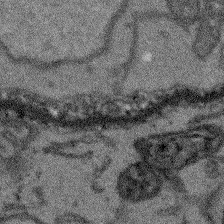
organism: Arabidopsis thaliana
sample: Root tip